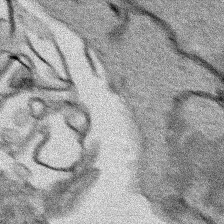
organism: Human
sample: Mitochondria in HCT116 cells